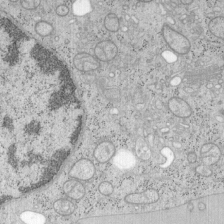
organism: Mouse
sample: OT-I killer T cells with ID8 ovarian cancer cells